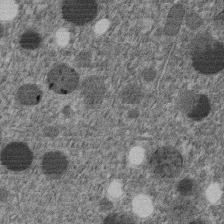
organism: C. elegans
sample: C. elegans embryo early stage